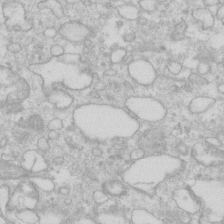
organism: Human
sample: Fibroblast cells